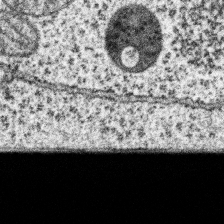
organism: Human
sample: HeLa cells